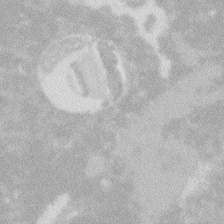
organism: Zebrafish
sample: Macrophage